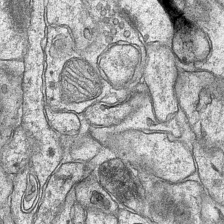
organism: Mouse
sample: CA1 Hippocampus